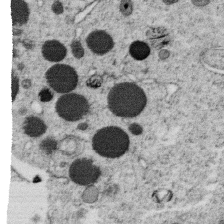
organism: C. elegans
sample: C. elegans oocyte; sperm cells